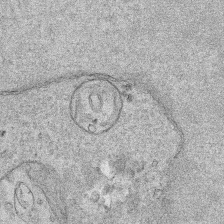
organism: Human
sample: Mitochondria in HCT116 cells